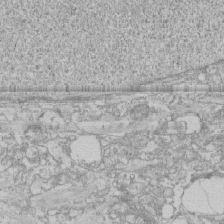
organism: Human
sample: CRL-1474